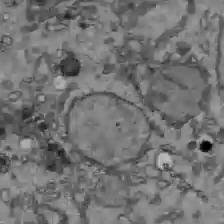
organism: C57BL Mouse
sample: Liver